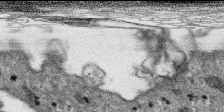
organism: Human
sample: Lung epithelial cells infected with SARS-CoV-2